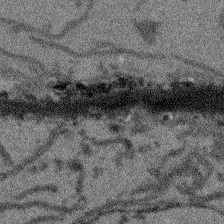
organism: Arabidopsis thaliana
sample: Root tip